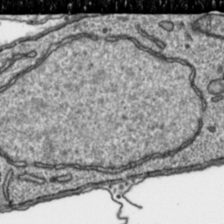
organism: Toxoplasma gondii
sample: Parasites in a vacuole inside a host cell